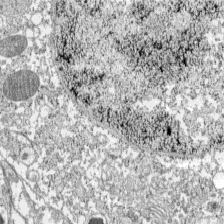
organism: C57BL Mouse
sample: Pancreatic islet